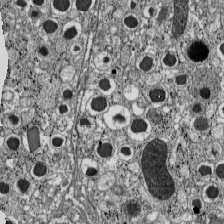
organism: C57BL Mouse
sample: Pancreatic islet